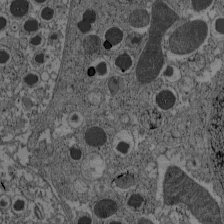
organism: C57BL Mouse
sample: Pancreatic islet